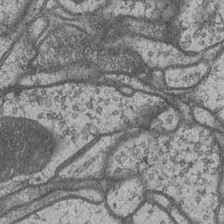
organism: Drosophila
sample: Optic medulla